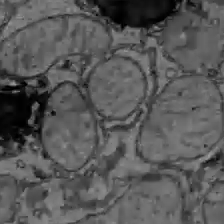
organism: C57BL Mouse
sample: Liver